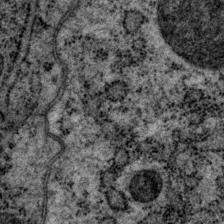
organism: P. pacificus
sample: Pharynx